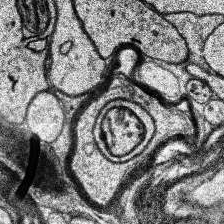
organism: Human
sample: Temporal Lobe